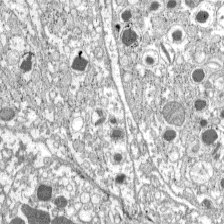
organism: C57BL Mouse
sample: Pancreatic islet